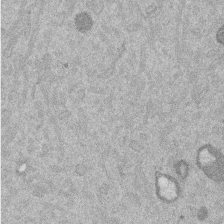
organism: Mouse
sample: Dividing mouse embryo 1 cell stage